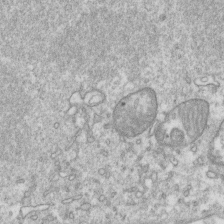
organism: Mouse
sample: Activated OT-1 CD8+ T cells